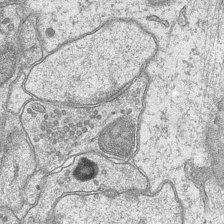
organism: Mouse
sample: CA1 Hippocampus